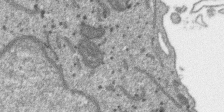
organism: Human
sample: Lung epithelial cells infected with SARS-CoV-2